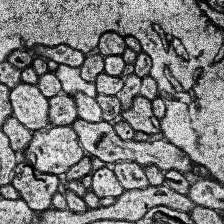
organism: Human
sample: Temporal Lobe